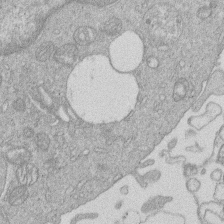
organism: Human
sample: Macrophage cells